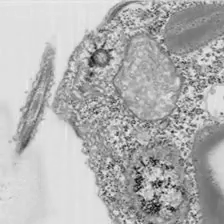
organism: Chlamydomonas reinhardtii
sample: Whole Cell